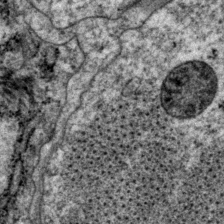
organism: P. pacificus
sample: Pharynx